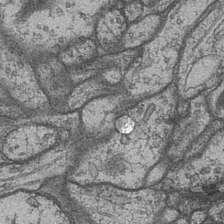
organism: Drosophila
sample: Optic medulla